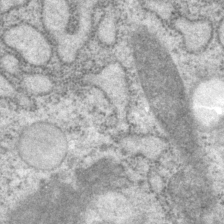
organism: P. pacificus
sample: Pharynx